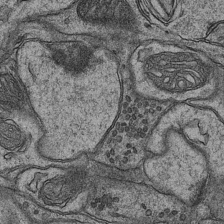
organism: Mouse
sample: CA1 Hippocampus